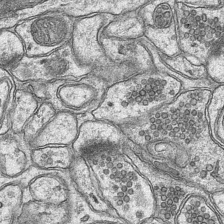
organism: Mouse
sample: CA1 Hippocampus